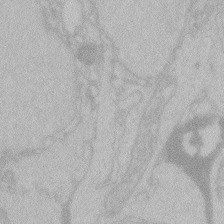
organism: Zebrafish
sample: Macrophage infected with Toxoplasma gondii